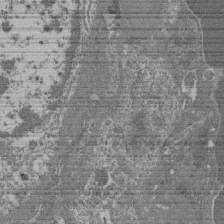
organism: Mouse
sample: Glomerulus